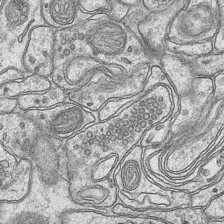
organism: Mouse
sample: CA1 Hippocampus